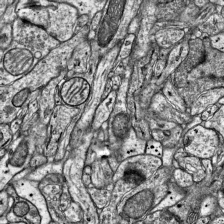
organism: Mouse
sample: Visual Cortex